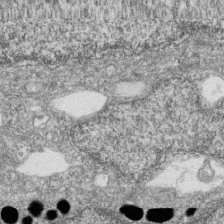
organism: Zebrafish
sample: Cilia; retinal pigment epithelium